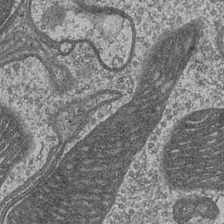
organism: Drosophila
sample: Optic medulla